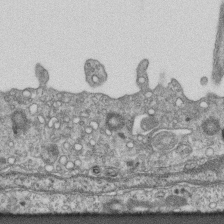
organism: Mouse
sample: Centriole in ependymal cells